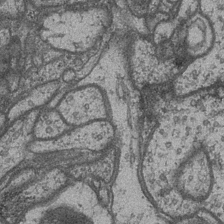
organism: Drosophila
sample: Optic medulla